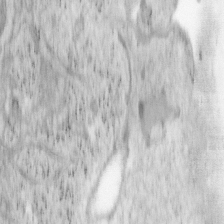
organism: Human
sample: HeLa cells